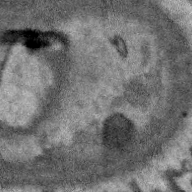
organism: Zebra finch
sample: Brain